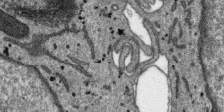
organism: Human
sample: Lung epithelial cells, uninfected (mock) control